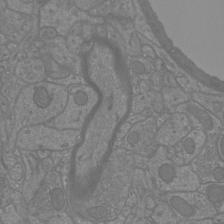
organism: Mouse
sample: Cortical neurons